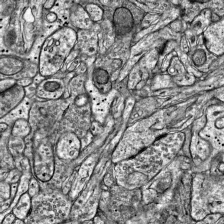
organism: Mouse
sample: Visual Cortex